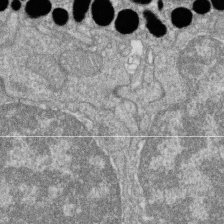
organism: Zebrafish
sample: Cilia; retinal pigment epithelium